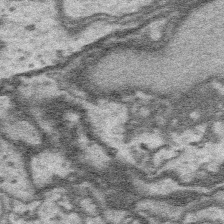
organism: Platynereis dumerilii